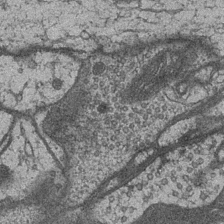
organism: Drosophila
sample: Optic medulla